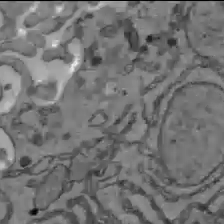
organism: C57BL Mouse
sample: Liver